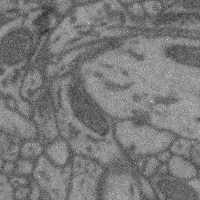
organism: Mouse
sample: Cerebral cortex